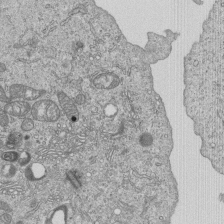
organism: Human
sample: MDA-MB-231 cells